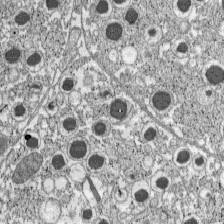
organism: C57BL Mouse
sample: Pancreatic islet